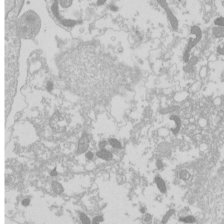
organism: Drosophila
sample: Cell division; meiosis; drosophila spermatocytes